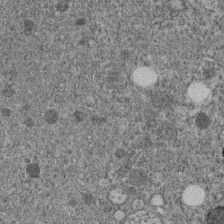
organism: C. elegans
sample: C. elegans embryo early stage